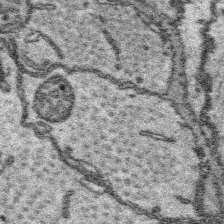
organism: Platynereis dumerilii